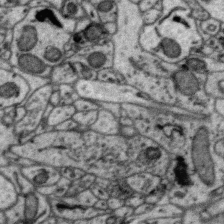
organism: Zebra finch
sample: Brain